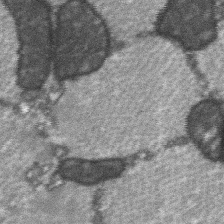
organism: C57BL Mouse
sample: Soleus